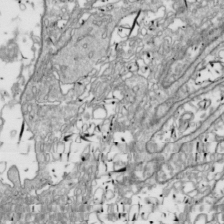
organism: Drosophila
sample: Cell division; meiosis; drosophila spermatocytes